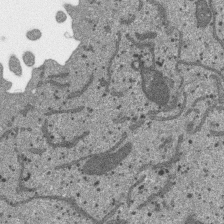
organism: Human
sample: Lung epithelial cells infected with SARS-CoV-2